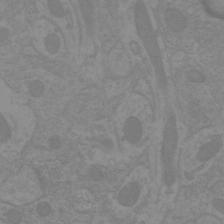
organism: Mouse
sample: Cortical neurons